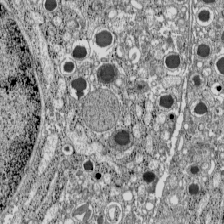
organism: C57BL Mouse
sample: Pancreatic islet